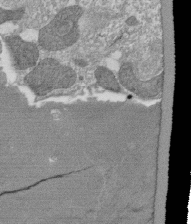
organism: Tetrahymena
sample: Cilia in tetrahymena